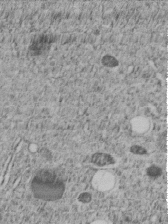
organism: C. elegans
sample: C. elegans embryo early stage